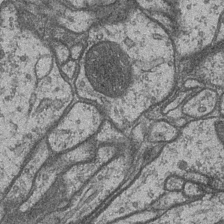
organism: Drosophila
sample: Optic medulla